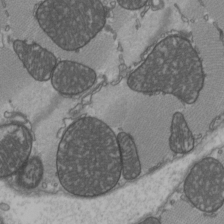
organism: C57BL Mouse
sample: Heart